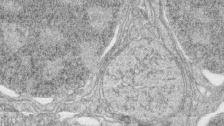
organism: Zebrafish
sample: synaptic ribbons in rod cells and cone cells